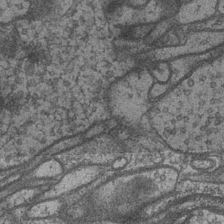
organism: Drosophila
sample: Optic medulla